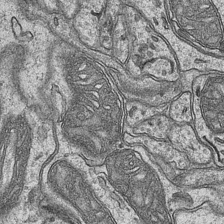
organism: Mouse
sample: CA1 Hippocampus